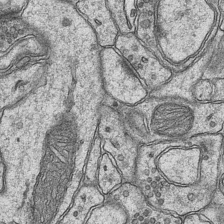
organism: Mouse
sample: CA1 Hippocampus